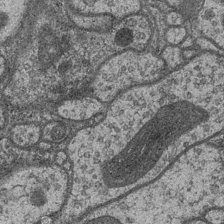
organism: Drosophila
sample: Optic medulla